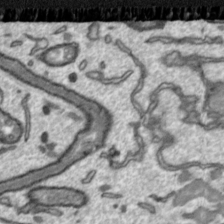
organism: Toxoplasma gondii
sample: Parasites in a vacuole inside a host cell